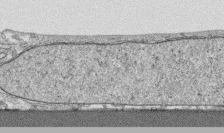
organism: Human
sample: CRL-1474